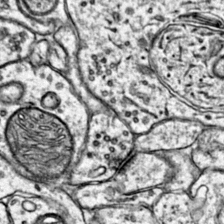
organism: Mouse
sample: Primary visual cortex